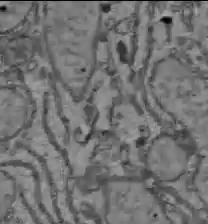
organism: C57BL Mouse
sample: Liver